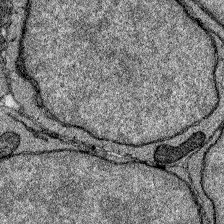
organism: Zebrafish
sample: Larval olfactory bulb